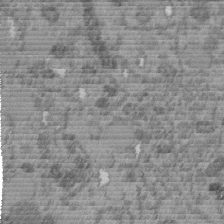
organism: C. elegans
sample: C. elegans embryo early stage